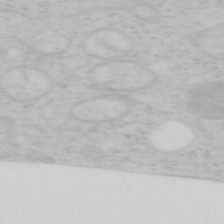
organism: Mouse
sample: OT-I killer T cells with ID8 ovarian cancer cells